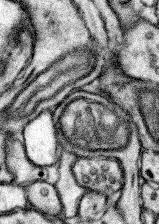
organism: Mouse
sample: Somatosensory cortex neuropil